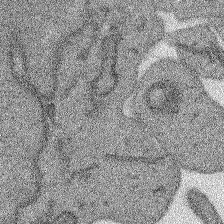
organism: Human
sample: HeLa cells